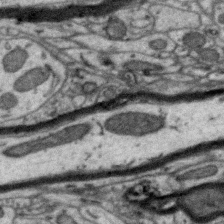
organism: Zebra finch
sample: Brain